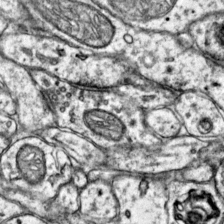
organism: Mouse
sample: Primary visual cortex